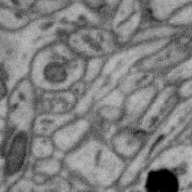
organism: Zebra finch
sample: Brain